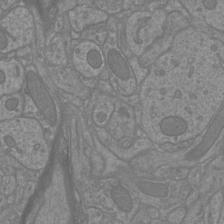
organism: Mouse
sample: Cortical neurons